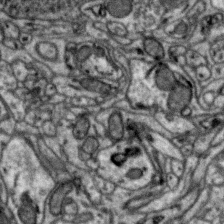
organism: Zebra finch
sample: Brain